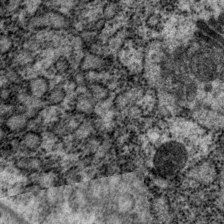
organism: P. pacificus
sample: Pharynx